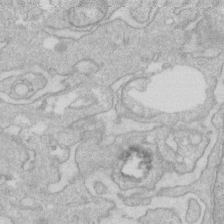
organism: Human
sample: Fibroblast cells